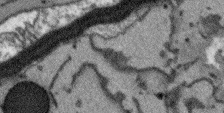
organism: Arabidopsis thaliana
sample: Root tip